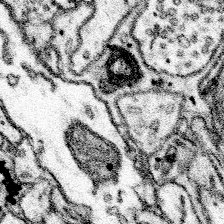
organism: Mouse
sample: Somatosensory cortex neuropil